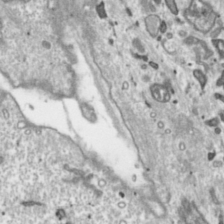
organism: Toxoplasma gondii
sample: Parasites in a vacuole inside a host cell